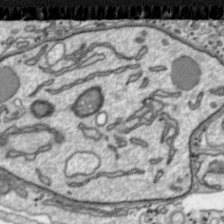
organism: Toxoplasma gondii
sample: Parasites in a vacuole inside a host cell